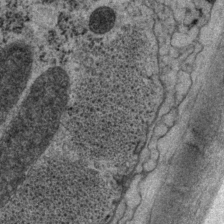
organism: P. pacificus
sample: Pharynx